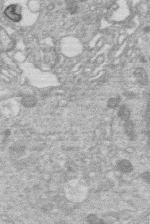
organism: Human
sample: Macrophage cells